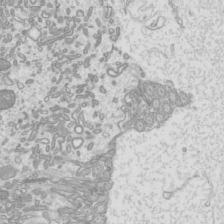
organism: Mouse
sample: Cilia; mouse epididymis